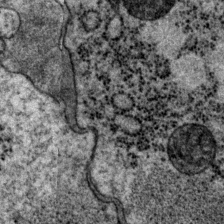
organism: P. pacificus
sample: Pharynx